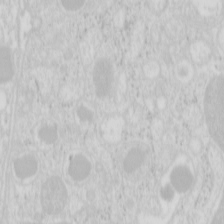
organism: Mouse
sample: Pancreas